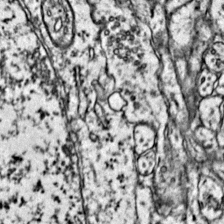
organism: Mouse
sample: Primary visual cortex